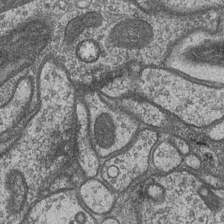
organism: Drosophila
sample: Optic medulla